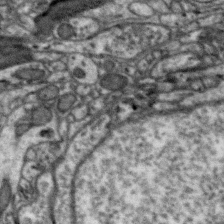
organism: Zebra finch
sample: Brain